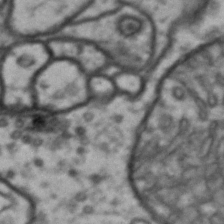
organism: Drosophila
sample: Brain